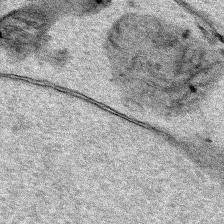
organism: Human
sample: Mitochondria in HCT116 cells